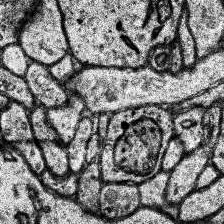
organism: Human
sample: Temporal Lobe